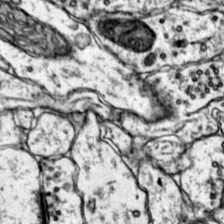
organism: Mouse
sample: Primary visual cortex